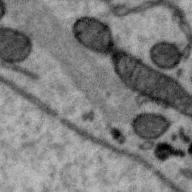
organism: Zebra finch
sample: Brain